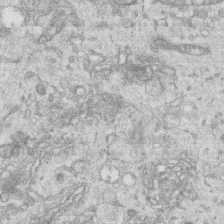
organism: Human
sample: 1205lu cells